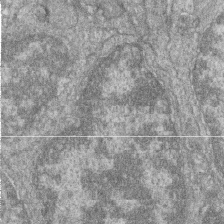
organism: Zebrafish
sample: Cilia; retinal pigment epithelium